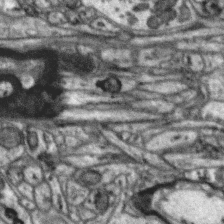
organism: Zebra finch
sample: Brain